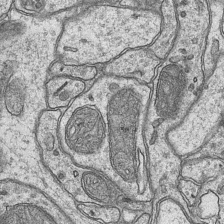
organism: Mouse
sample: CA1 Hippocampus